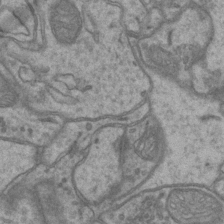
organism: Mouse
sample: CA1 Hippocampus